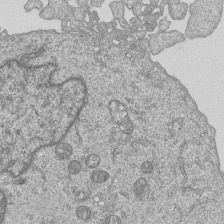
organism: Human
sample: MDA-MB-231 cells